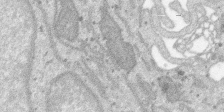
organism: Human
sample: Lung epithelial cells infected with SARS-CoV-2